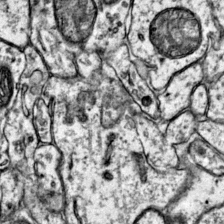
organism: Mouse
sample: Primary visual cortex